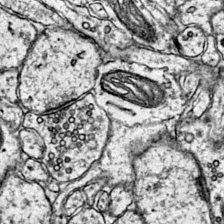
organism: Mouse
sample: Primary visual cortex